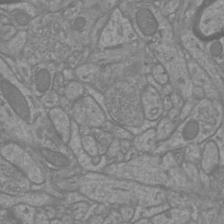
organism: Mouse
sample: Cortical neurons